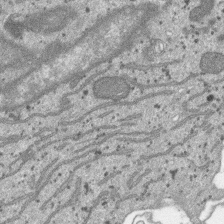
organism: Human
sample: Lung epithelial cells infected with SARS-CoV-2